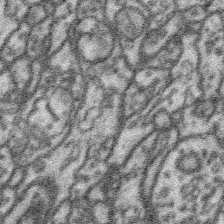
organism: Platynereis dumerilii